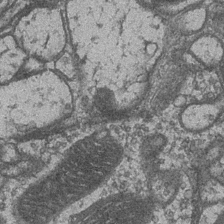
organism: Drosophila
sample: Optic medulla